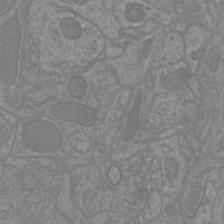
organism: Mouse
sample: Cortical neurons